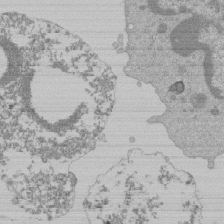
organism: Mouse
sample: Activated Pmel transgenic CD8+ T Cells